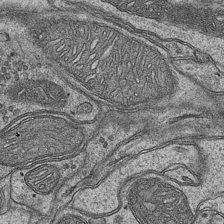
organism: Mouse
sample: CA1 Hippocampus